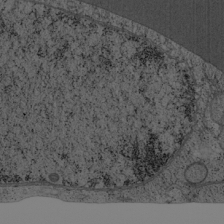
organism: African green monkey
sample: COS-7 cells